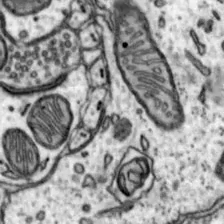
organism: Mouse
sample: Nucleus accumbens